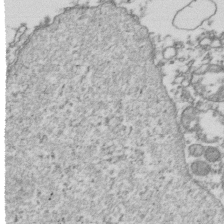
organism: Human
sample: Activated Jurkat CD4+ T cells